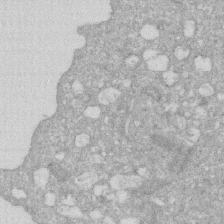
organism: Human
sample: HIV infected U937 cells